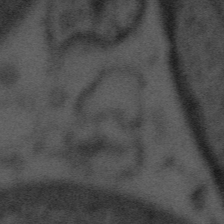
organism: Tuwongella immobilis